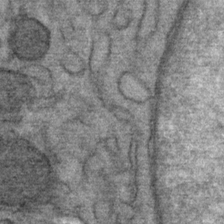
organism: Mouse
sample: Mouse Salivary gland